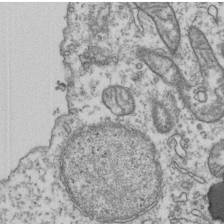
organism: Human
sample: Activated Jurkat CD4+ T cells